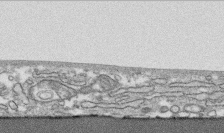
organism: Human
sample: CRL-1474